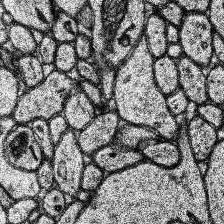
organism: Human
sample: Temporal Lobe